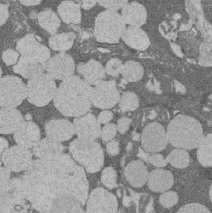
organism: Rat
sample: Salivary granule